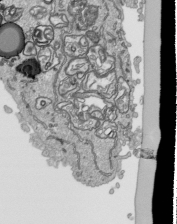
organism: Human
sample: Mitochondria in HCT116 cells